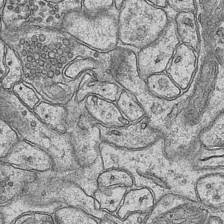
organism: Mouse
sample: CA1 Hippocampus